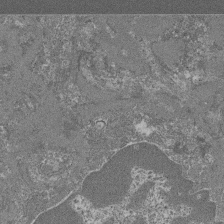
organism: Mouse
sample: Glomerulus